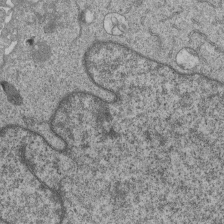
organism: Human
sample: MDA-MB-231 cells